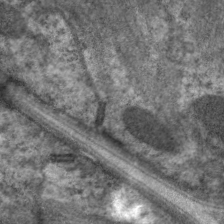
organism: C. elegans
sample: Pharynx